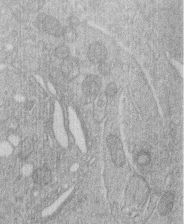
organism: Human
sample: Macrophage cells